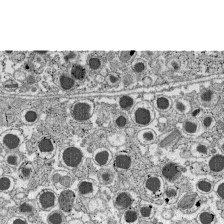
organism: C57BL Mouse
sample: Pancreatic islet